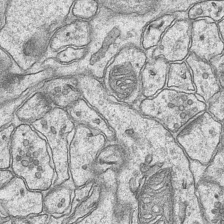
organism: Mouse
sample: CA1 Hippocampus